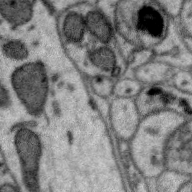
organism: Zebra finch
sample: Brain